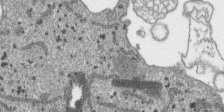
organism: Human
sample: Lung epithelial cells infected with SARS-CoV-2